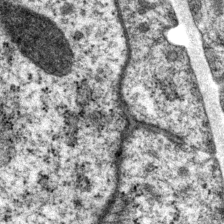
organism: P. pacificus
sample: Pharynx